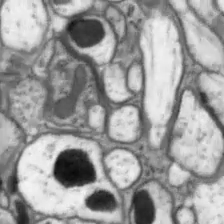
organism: Drosophila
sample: Optic lobe